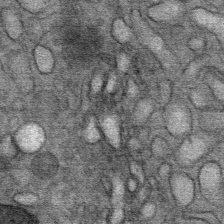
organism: Mouse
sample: Mouse Salivary gland